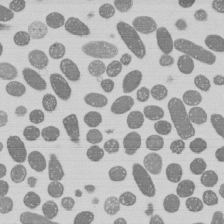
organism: E. coli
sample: Bacterial nucleoid